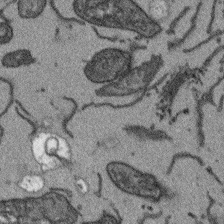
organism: Arabidopsis thaliana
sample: Root tip